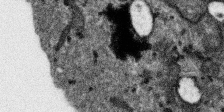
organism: Human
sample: Lung epithelial cells infected with SARS-CoV-2